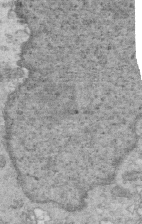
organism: Mouse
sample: Multiciliated cells